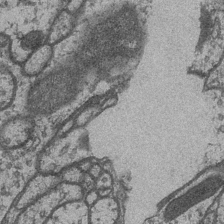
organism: Drosophila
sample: Optic medulla